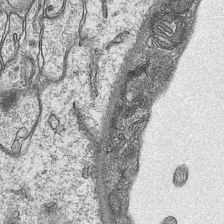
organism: Mouse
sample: CA1 Hippocampus